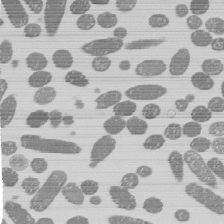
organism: E. coli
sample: Bacterial nucleoid